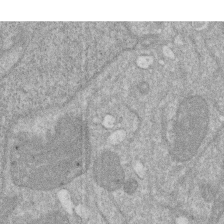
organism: Human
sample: HIV infected U937 cells